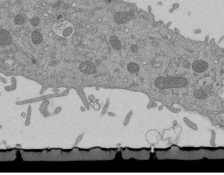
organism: Mouse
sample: ED-1 cell nuclei; centrioles